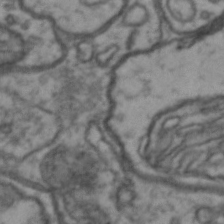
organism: Drosophila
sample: Brain